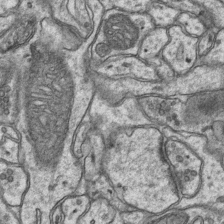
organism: Mouse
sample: CA1 Hippocampus